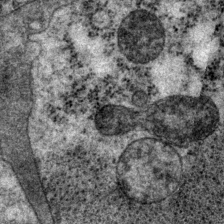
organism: P. pacificus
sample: Pharynx